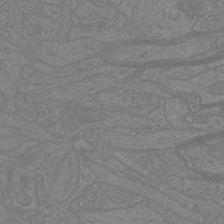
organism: Mouse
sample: Cortical neurons